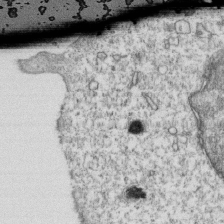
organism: Mouse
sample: Activated OT-1 CD8+ T cells